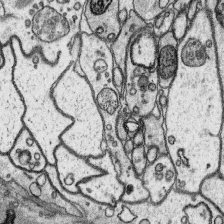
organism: Platynereis dumerilii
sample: Parapodia